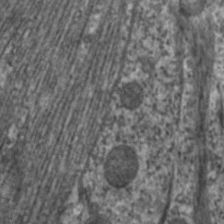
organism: C. elegans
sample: Pharynx